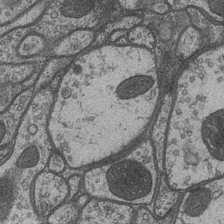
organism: Drosophila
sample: Optic medulla